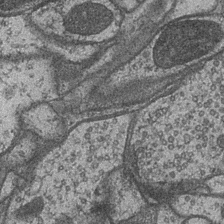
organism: Drosophila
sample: Optic medulla